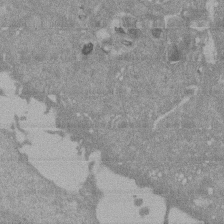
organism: Mouse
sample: ED-1 cell nuclei; centrioles